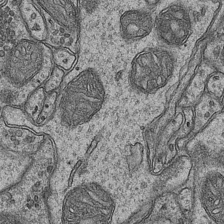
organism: Mouse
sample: CA1 Hippocampus